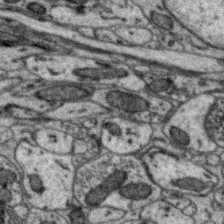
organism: Zebra finch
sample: Brain